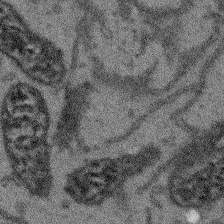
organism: Arabidopsis thaliana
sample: Root tip